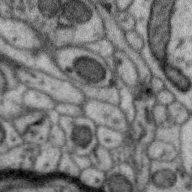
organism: Zebra finch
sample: Brain